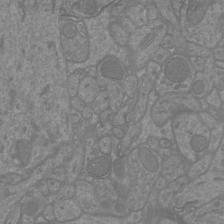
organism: Mouse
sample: Cortical neurons